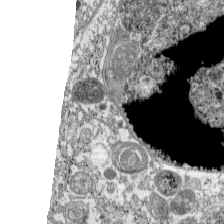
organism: C57BL Mouse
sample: Pancreatic islet